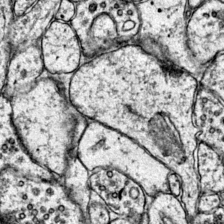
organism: Mouse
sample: Primary visual cortex